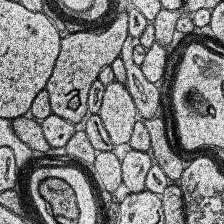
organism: Human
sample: Temporal Lobe